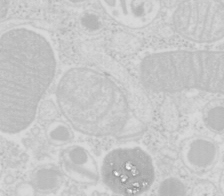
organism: Mouse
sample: Pancreas